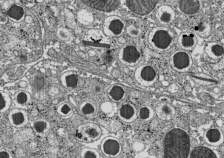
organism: C57BL Mouse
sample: Pancreatic islet